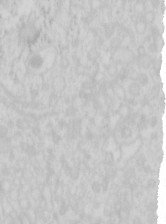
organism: Mouse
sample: Pancreas